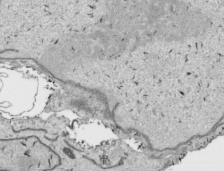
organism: Human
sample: Mitochondria in HCT116 cells